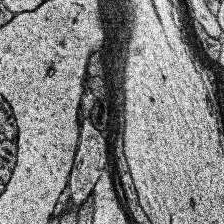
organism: Human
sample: Temporal Lobe